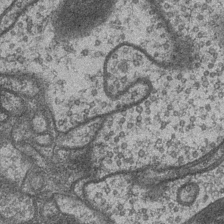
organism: Drosophila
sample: Optic medulla